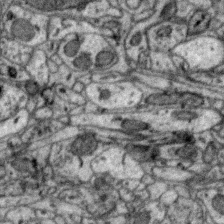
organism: Zebra finch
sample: Brain